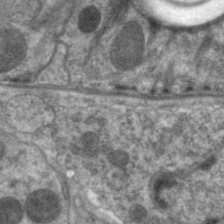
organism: C. elegans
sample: Pharynx